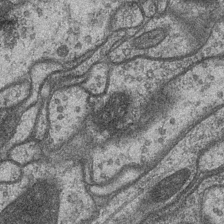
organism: Drosophila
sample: Optic medulla